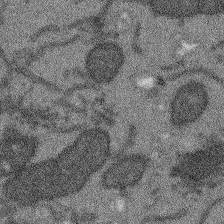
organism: Arabidopsis thaliana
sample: Root tip